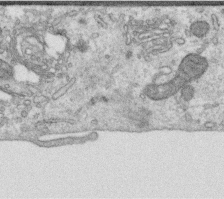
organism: Human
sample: Centriole in RPE cells